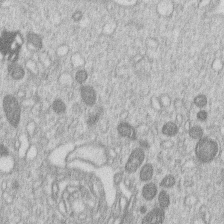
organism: Human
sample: Macrophage cells